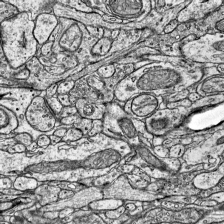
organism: Mouse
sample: Visual Cortex